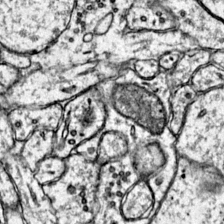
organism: Mouse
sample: Primary visual cortex